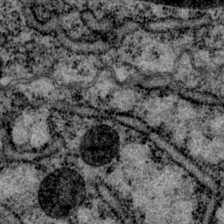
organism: P. pacificus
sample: Pharynx